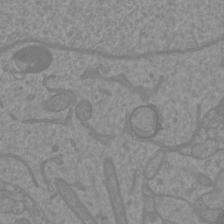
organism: Mouse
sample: Cortical neurons